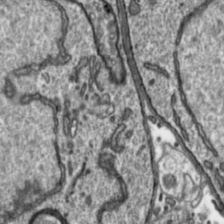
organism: Toxoplasma gondii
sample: Parasites in a vacuole inside a host cell